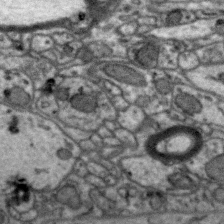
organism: Zebra finch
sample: Brain